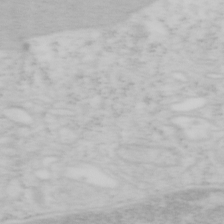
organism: Mouse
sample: OT-I killer T cells with ID8 ovarian cancer cells